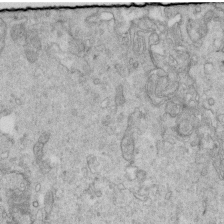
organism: Mouse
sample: Multiciliated cells